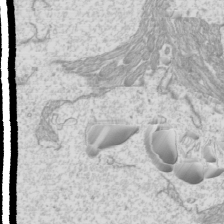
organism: Mouse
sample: Cilia; mouse epididymis